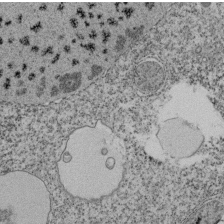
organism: Tetrahymena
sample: Cilia in tetrahymena